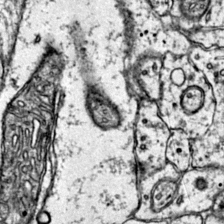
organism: Mouse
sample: Primary visual cortex